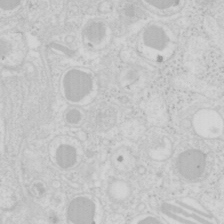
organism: Mouse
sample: Pancreas